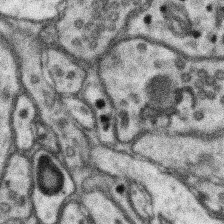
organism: Mouse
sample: Somatosensory cortex neuropil